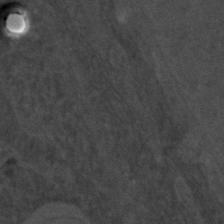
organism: C. elegans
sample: C. elegans embryo